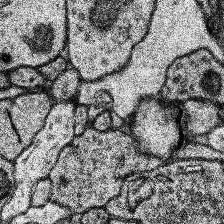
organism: Human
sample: Temporal Lobe